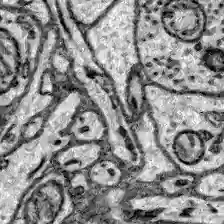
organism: Zebrafish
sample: Brain